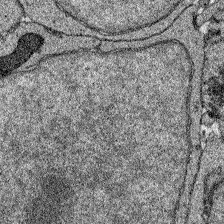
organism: Zebrafish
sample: Larval olfactory bulb